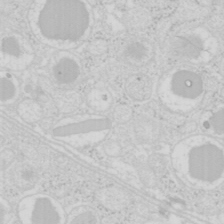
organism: Mouse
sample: Pancreas